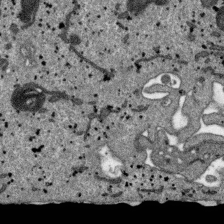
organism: Human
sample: Lung epithelial cells, uninfected (mock) control